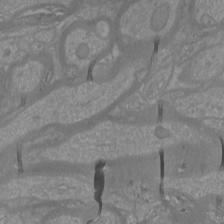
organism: Mouse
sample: Cortical neurons